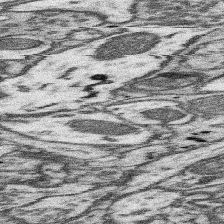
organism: Mouse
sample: Somatosensory cortex neuropil